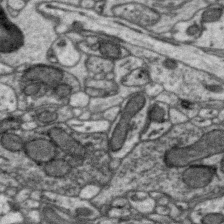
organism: Zebra finch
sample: Brain